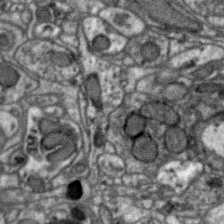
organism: Zebra finch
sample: Brain